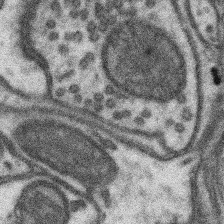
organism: Mouse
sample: Somatosensory cortex neuropil